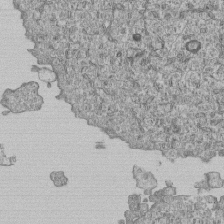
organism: Human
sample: MDA-MB-231 cells